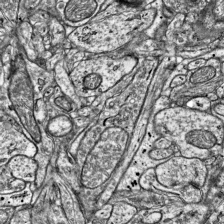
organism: Mouse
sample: Visual Cortex